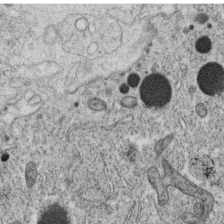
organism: C. elegans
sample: C. elegans oocyte; sperm cells